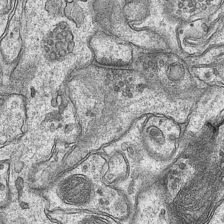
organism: Mouse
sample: CA1 Hippocampus